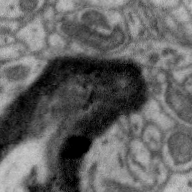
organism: Zebra finch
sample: Brain